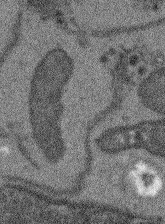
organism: Arabidopsis thaliana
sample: Root tip